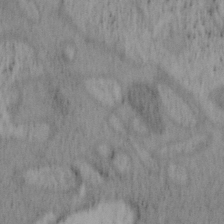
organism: Mouse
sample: OT-I killer T cells with ID8 ovarian cancer cells